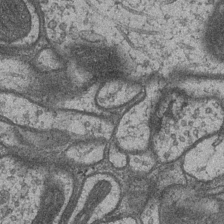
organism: Drosophila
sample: Optic medulla